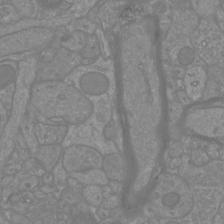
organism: Mouse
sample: Cortical neurons